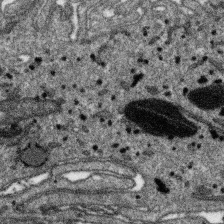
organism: Human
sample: Lung epithelial cells infected with SARS-CoV-2